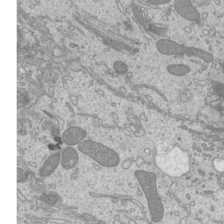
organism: Mouse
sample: Cilia; mouse epididymis